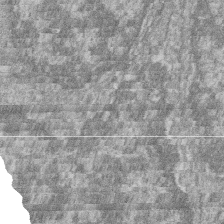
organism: Zebrafish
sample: Cilia; retinal pigment epithelium